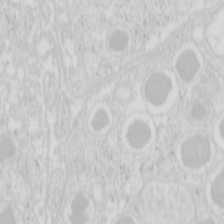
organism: Mouse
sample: Pancreas